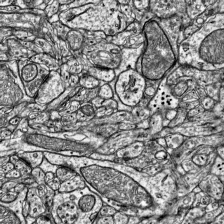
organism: Mouse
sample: Visual Cortex